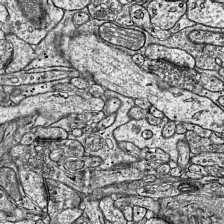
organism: Mouse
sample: Visual Cortex